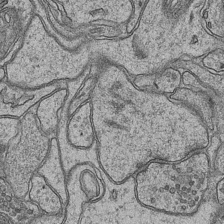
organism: Mouse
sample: CA1 Hippocampus